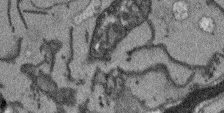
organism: Arabidopsis thaliana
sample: Root tip